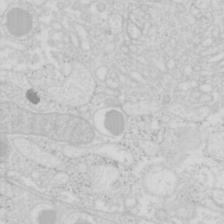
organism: Mouse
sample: Pancreas